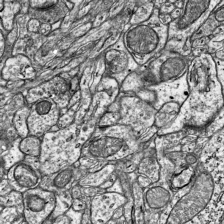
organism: Mouse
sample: Visual Cortex